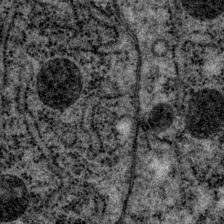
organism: P. pacificus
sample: Pharynx